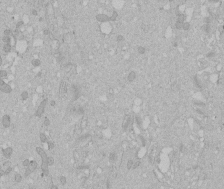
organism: Human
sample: Melanocyte Keratinocyte synapse skin construct